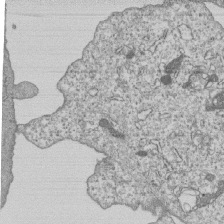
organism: Human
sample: MDA-MB-231 cells